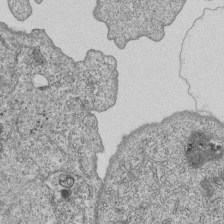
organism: Human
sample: MDA-MB-231 cells